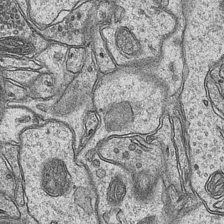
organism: Mouse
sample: CA1 Hippocampus